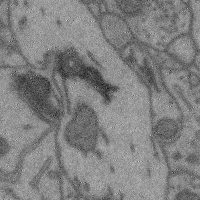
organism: Mouse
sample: Cerebral cortex